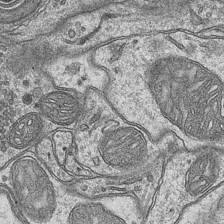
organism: Mouse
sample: CA1 Hippocampus